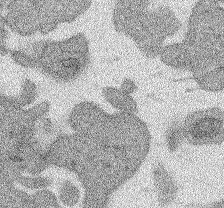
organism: Human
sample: HeLa cells